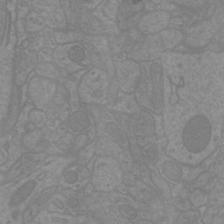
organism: Mouse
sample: Cortical neurons